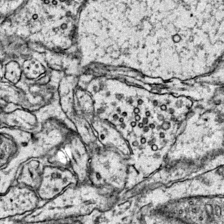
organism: Mouse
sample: Primary visual cortex